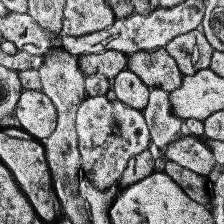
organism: Human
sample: Temporal Lobe